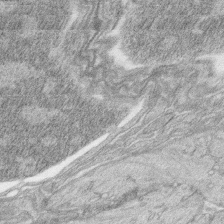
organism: Zebrafish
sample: synaptic ribbons in rod cells and cone cells